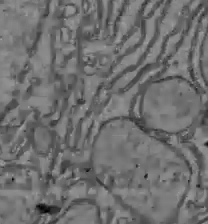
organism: C57BL Mouse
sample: Liver